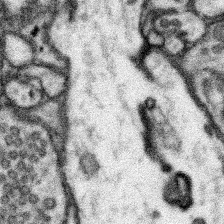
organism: Mouse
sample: Somatosensory cortex neuropil